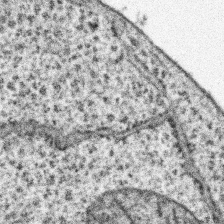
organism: Human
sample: HeLa cells